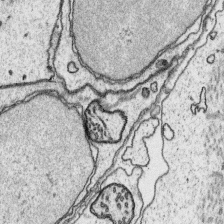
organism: Platynereis dumerilii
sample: Parapodia